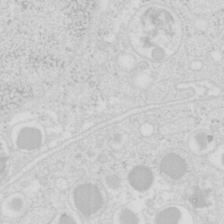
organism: Mouse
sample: Pancreas